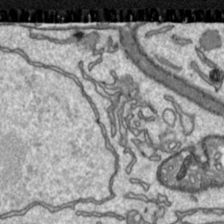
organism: Toxoplasma gondii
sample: Parasites in a vacuole inside a host cell